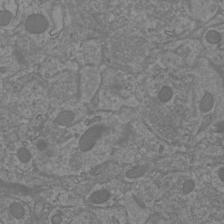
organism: Mouse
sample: Cortical neurons